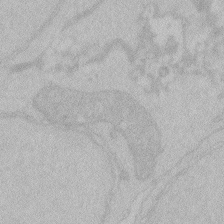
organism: Zebrafish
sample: Macrophage infected with Toxoplasma gondii